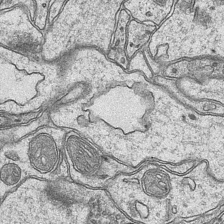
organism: Mouse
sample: CA1 Hippocampus